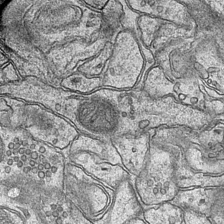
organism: Mouse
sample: CA1 Hippocampus